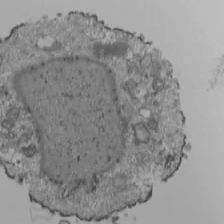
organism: Human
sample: Jurkat E6-1 and CD4 cells